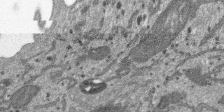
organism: Human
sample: Lung epithelial cells infected with SARS-CoV-2